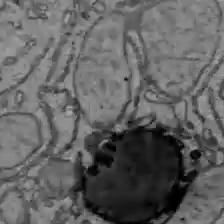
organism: C57BL Mouse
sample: Liver